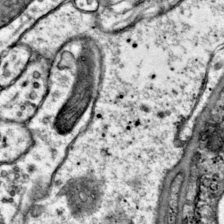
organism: Mouse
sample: Primary visual cortex